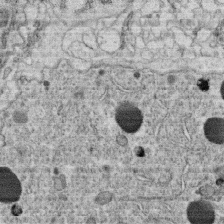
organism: C. elegans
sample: C. elegans oocyte; sperm cells